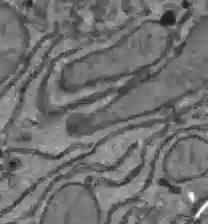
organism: C57BL Mouse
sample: Liver